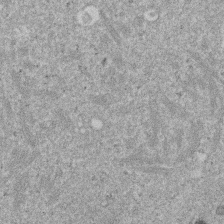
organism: Mouse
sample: Dividing mouse embryo 1 cell stage